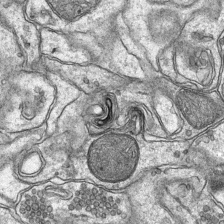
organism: Mouse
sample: CA1 Hippocampus